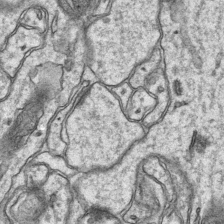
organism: Mouse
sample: CA1 Hippocampus